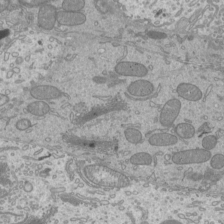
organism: Mouse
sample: Cilia; mouse epididymis